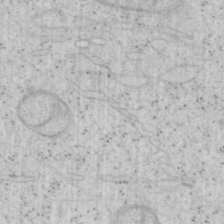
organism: Human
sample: HeLa cells